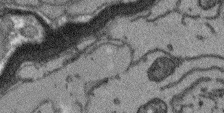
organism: Arabidopsis thaliana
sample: Root tip